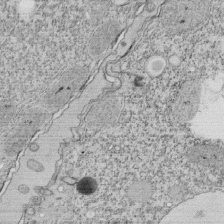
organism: Tetrahymena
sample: Cilia in tetrahymena